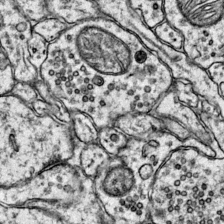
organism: Mouse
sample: Primary visual cortex